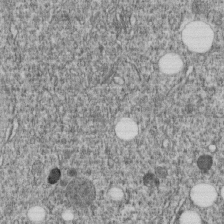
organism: C. elegans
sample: C. elegans embryo early stage